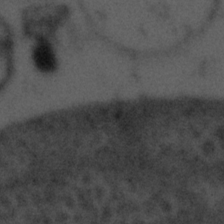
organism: Tuwongella immobilis